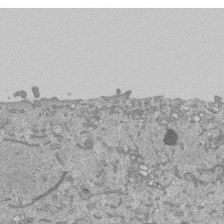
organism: Mouse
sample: ED-1 cell nuclei; centrioles